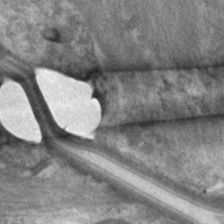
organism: C. elegans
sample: Pharynx